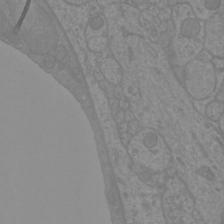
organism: Mouse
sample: Cortical neurons